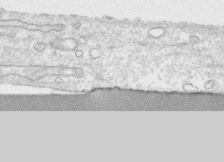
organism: Human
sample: CRL-1474